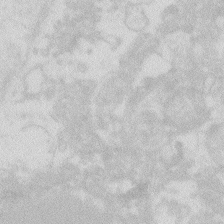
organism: Zebrafish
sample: Macrophage